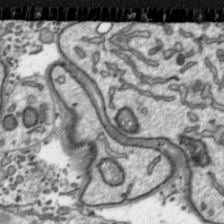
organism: Toxoplasma gondii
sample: Parasites in a vacuole inside a host cell